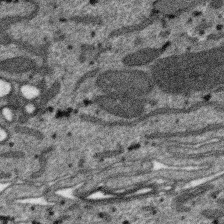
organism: Human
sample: Lung epithelial cells infected with SARS-CoV-2